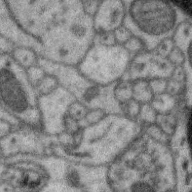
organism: Zebra finch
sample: Brain